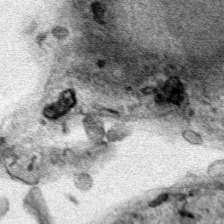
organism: Human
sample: Mitochondria in HCT116 cells